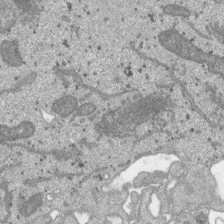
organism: Human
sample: Lung epithelial cells infected with SARS-CoV-2